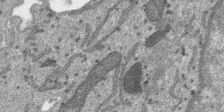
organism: Human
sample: Lung epithelial cells infected with SARS-CoV-2